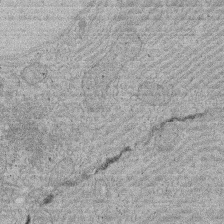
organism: Rat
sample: Salivary granule